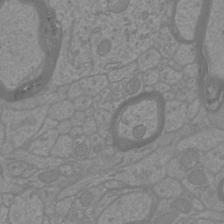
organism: Mouse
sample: Cortical neurons